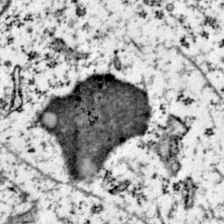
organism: Mouse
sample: Primary visual cortex